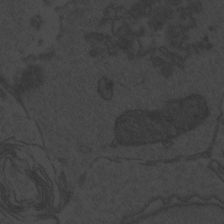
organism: Zebrafish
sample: Macrophage infected with Toxoplasma gondii